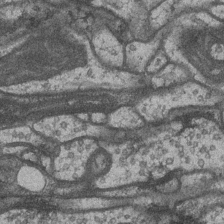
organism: Drosophila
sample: Optic medulla